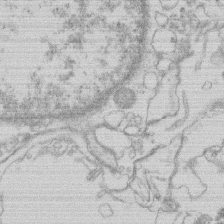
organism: Human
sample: Macrophage cells